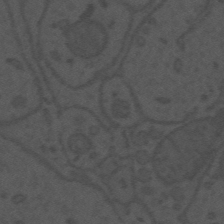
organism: Mouse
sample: Suprachiasmatic nucleus